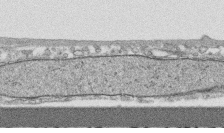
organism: Human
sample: CRL-1474